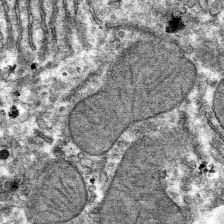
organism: Mouse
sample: Mouse hepatocytes